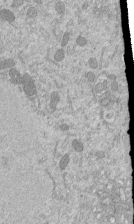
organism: Mouse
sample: ED-1 cell nuclei; centrioles